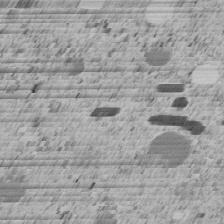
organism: C. elegans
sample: C. elegans embryo early stage